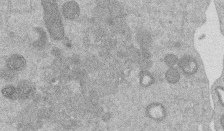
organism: Mouse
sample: Dividing mouse embryo 1 cell stage